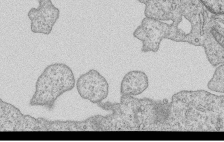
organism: Human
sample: MDA-MB-231 cells